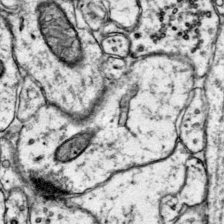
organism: Mouse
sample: Primary visual cortex